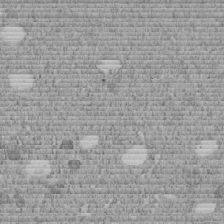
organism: C. elegans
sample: C. elegans embryo early stage